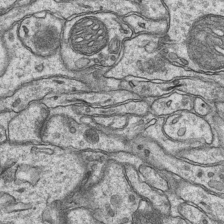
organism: Mouse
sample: CA1 Hippocampus